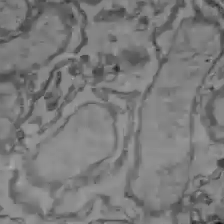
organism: C57BL Mouse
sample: Liver